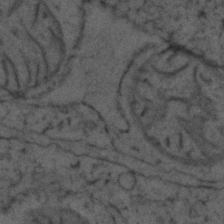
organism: Zebrafish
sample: Zebrafish embryo